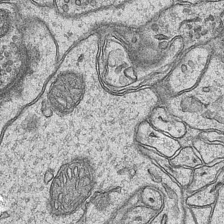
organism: Mouse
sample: CA1 Hippocampus